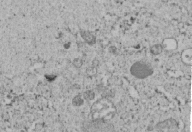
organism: C. elegans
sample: C. elegans embryo early stage